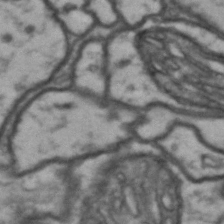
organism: Drosophila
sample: Brain